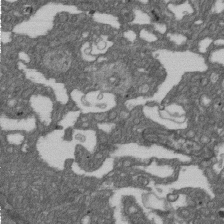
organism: Drosophila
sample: Nephrocyte